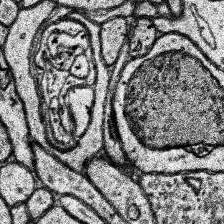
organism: Human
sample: Temporal Lobe